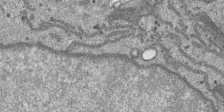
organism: Human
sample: Lung epithelial cells infected with SARS-CoV-2